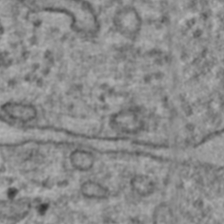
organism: Human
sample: Blood